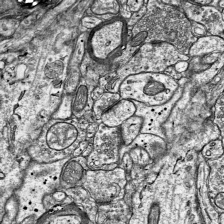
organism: Mouse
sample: Visual Cortex